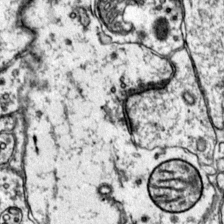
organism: Mouse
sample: Primary visual cortex